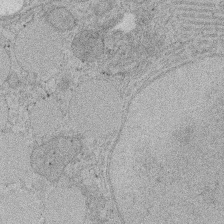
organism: Rat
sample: Salivary granule